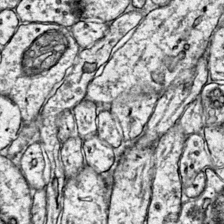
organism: Mouse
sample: Primary visual cortex